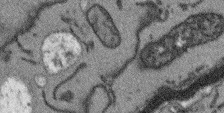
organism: Arabidopsis thaliana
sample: Root tip